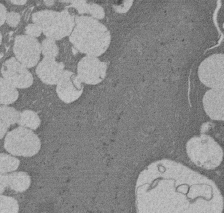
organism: Rat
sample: Salivary granule